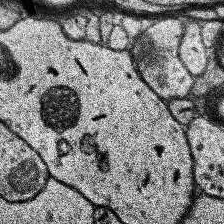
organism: Human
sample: Temporal Lobe